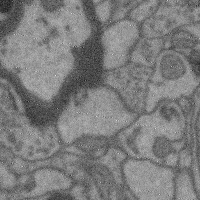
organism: Mouse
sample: Cerebral cortex